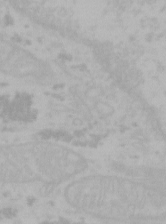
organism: Mouse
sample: Choroid plexus